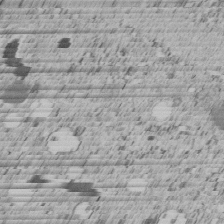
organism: C. elegans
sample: C. elegans embryo early stage